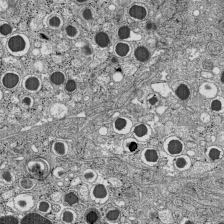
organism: C57BL Mouse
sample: Pancreatic islet